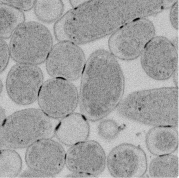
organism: E. coli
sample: Bacterial nucleoid